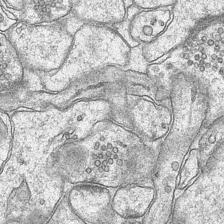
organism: Mouse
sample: CA1 Hippocampus